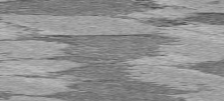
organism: C57BL Mouse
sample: Heart